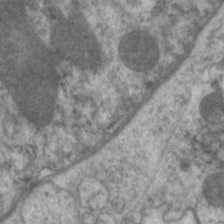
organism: C. elegans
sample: Pharynx